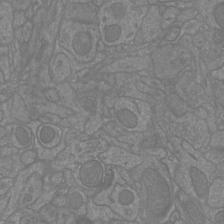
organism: Mouse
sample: Cortical neurons